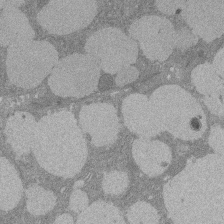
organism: Rat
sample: Salivary granule